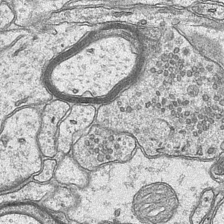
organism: Mouse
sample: CA1 Hippocampus